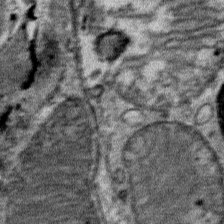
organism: Mouse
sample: Mouse Salivary gland